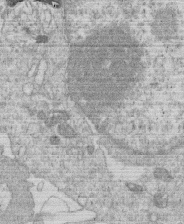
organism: Human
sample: Macrophage cells